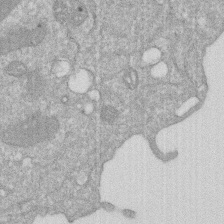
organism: Human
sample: HIV infected U937 cells